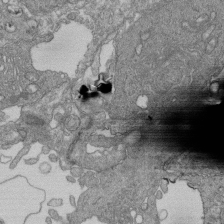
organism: Human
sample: Retinal organoid Rod and Cone cells